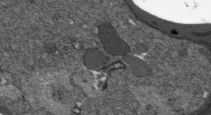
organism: Plasmodium falciparum